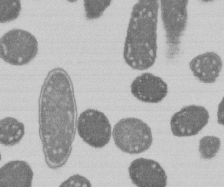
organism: E. coli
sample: Bacterial nucleoid